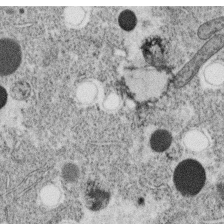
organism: C. elegans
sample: C. elegans oocyte; sperm cells